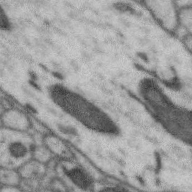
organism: Zebra finch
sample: Brain